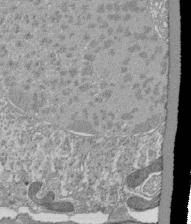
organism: Tetrahymena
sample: Cilia in tetrahymena